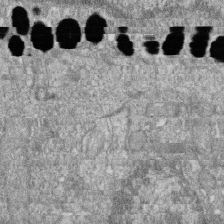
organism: Zebrafish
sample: Cilia; retinal pigment epithelium